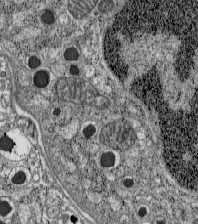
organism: C57BL Mouse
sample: Pancreatic islet